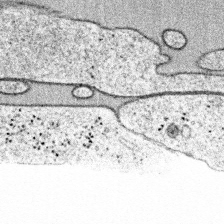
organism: Human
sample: HeLa cells